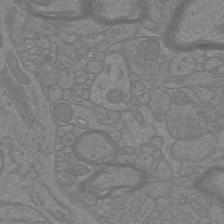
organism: Mouse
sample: Cortical neurons